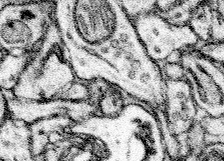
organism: Mouse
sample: Somatosensory cortex neuropil